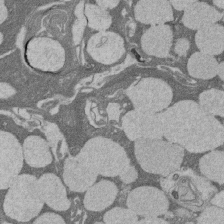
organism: Rat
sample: Salivary granule